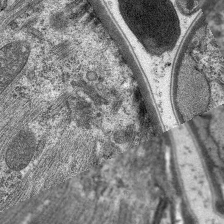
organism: C. elegans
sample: Pharynx